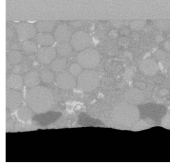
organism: C. elegans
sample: C. elegans oocyte; sperm cells